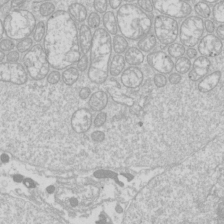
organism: Drosophila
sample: Cell division; meiosis; drosophila spermatocytes